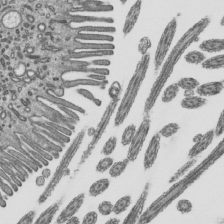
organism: Mouse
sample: Mouse epididymis efferent ductule cilia